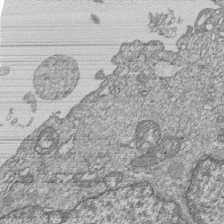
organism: Human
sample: MDA-MB-231 cells